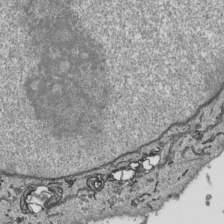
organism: Human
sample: Mitochondria in HCT116 cells